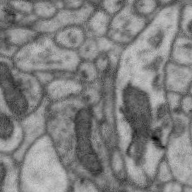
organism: Zebra finch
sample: Brain